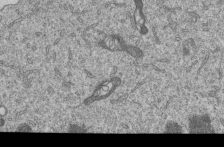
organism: Human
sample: MDA-MB-231 cells